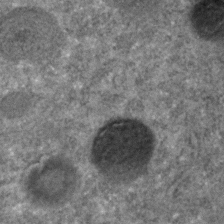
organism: C. elegans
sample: C. elegans embryo